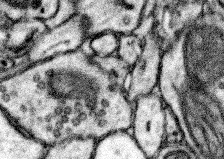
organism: Mouse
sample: Somatosensory cortex neuropil